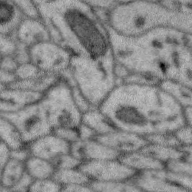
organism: Zebra finch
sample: Brain